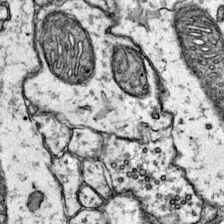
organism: Mouse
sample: Primary visual cortex